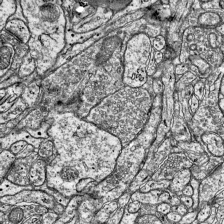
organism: Mouse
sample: Visual Cortex